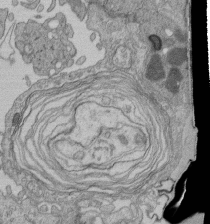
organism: Human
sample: Retinal organoid Rod and Cone cells